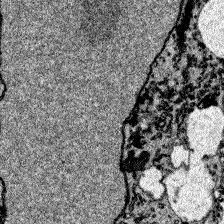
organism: Zebrafish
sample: Larval olfactory bulb